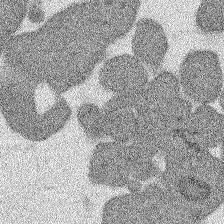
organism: Human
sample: HeLa cells